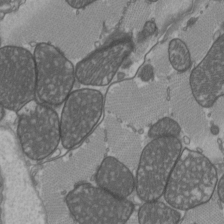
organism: C57BL Mouse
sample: Heart